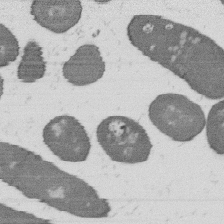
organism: B. subtilis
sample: Bacterial spore